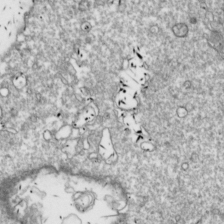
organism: Drosophila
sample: Cell division; meiosis; drosophila spermatocytes